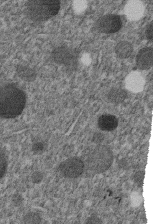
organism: C. elegans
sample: C. elegans embryo early stage